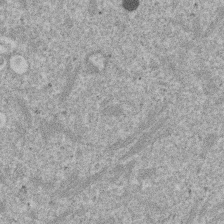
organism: Mouse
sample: Dividing mouse embryo 1 cell stage